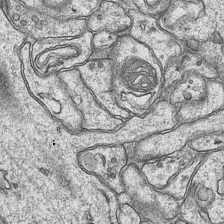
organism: Mouse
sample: CA1 Hippocampus